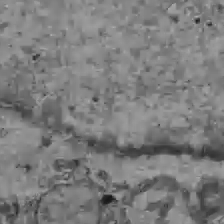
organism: C57BL Mouse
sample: Liver